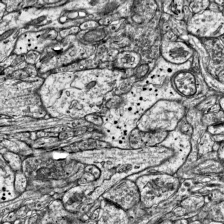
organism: Mouse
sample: Visual Cortex